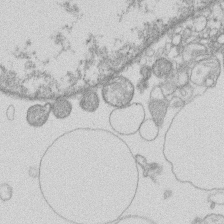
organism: Human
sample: Macrophage cells